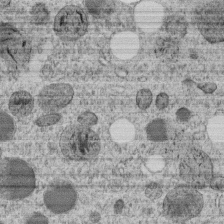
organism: C. elegans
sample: C. elegans embryo early stage